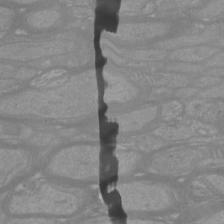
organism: Mouse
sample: Cortical neurons